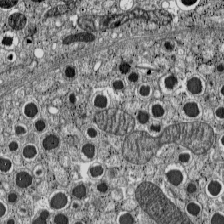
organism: C57BL Mouse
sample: Pancreatic islet